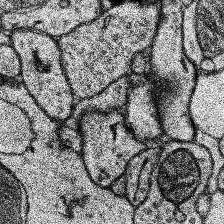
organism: Human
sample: Temporal Lobe